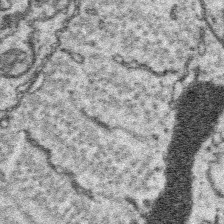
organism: Platynereis dumerilii